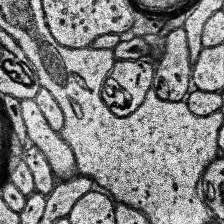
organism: Human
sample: Temporal Lobe